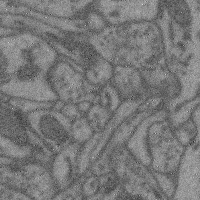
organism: Mouse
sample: Cerebral cortex